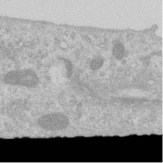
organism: Human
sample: Centriole in RPE cells